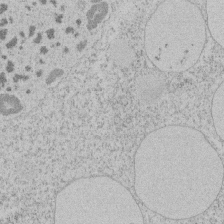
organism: Tetrahymena